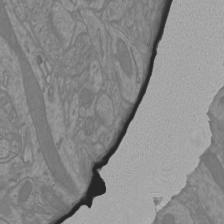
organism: Mouse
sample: Cortical neurons